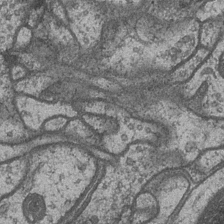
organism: Drosophila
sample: Optic medulla